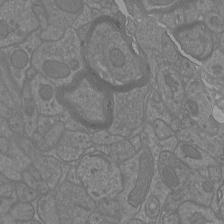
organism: Mouse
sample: Cortical neurons